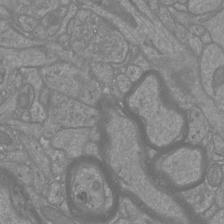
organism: Mouse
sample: Cortical neurons